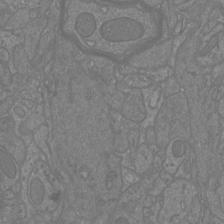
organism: Mouse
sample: Cortical neurons